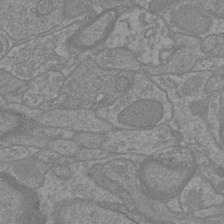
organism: Mouse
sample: Cortical neurons